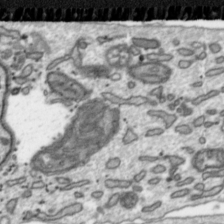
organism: Toxoplasma gondii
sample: Parasites in a vacuole inside a host cell